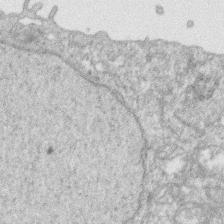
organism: Human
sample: HeLa cell HIV synapse